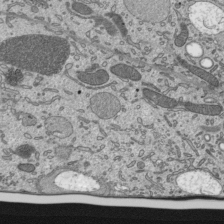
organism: Mouse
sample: Mouse epididymis efferent ductule cilia